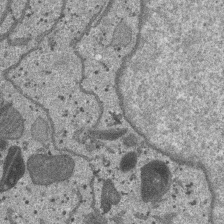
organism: Human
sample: Lung epithelial cells infected with SARS-CoV-2